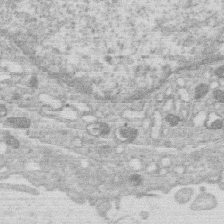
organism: Human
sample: Macrophage cells